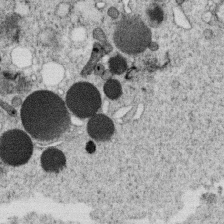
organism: C. elegans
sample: C. elegans oocyte; sperm cells